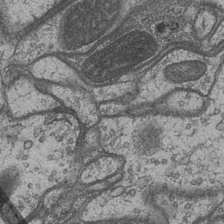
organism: Drosophila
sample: Optic medulla